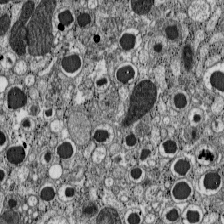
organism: C57BL Mouse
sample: Pancreatic islet